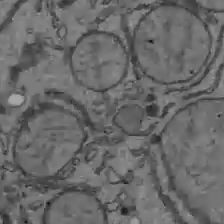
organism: C57BL Mouse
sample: Liver